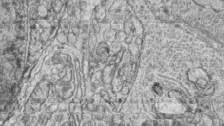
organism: Zebrafish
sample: synaptic ribbons in rod cells and cone cells